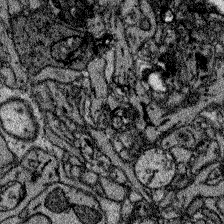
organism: Zebrafish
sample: Larval olfactory bulb